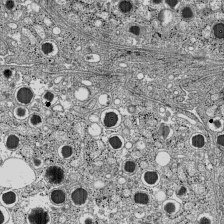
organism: C57BL Mouse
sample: Pancreatic islet